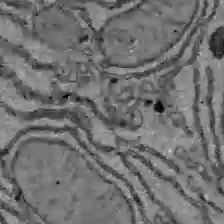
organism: C57BL Mouse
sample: Liver